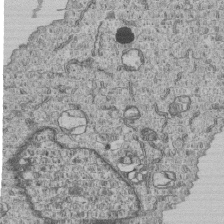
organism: Human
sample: MDA-MB-231 cells